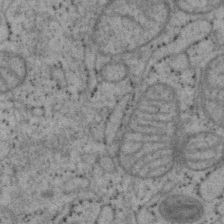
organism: Human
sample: HeLa cells